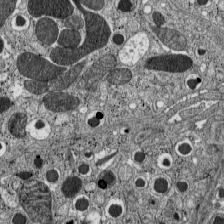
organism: C57BL Mouse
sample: Pancreatic islet